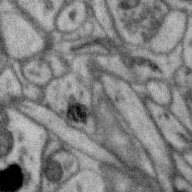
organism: Zebra finch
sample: Brain